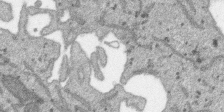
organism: Human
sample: Lung epithelial cells infected with SARS-CoV-2